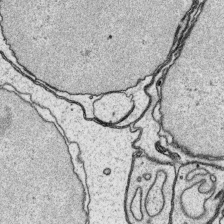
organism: Platynereis dumerilii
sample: Parapodia